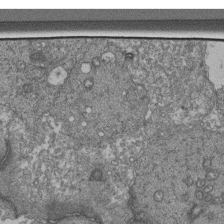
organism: Human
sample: Retinal organoid Rod and Cone cells